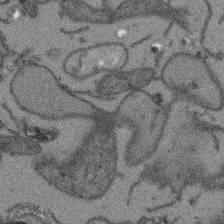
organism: Arabidopsis thaliana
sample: Root tip